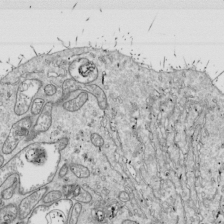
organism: Drosophila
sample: Cell division; meiosis; drosophila spermatocytes